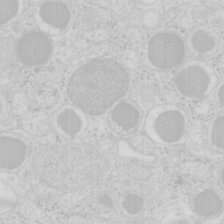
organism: Mouse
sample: Pancreas